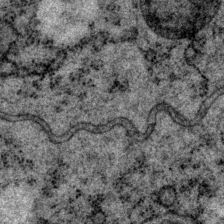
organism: P. pacificus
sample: Pharynx